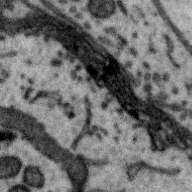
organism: Zebra finch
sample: Brain